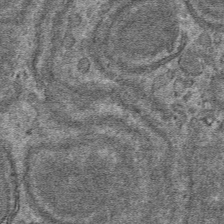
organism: Mouse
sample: Mouse hepatocytes